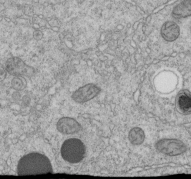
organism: C. elegans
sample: C. elegans embryo early stage